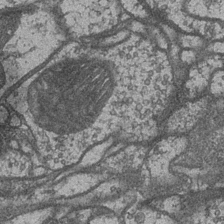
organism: Drosophila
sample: Optic medulla